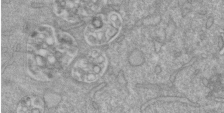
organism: Mouse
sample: ED-1 cell nuclei; centrioles